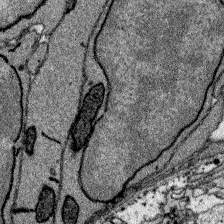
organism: Zebrafish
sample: Larval olfactory bulb